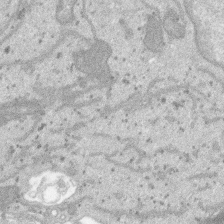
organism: Human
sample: Lung epithelial cells infected with SARS-CoV-2